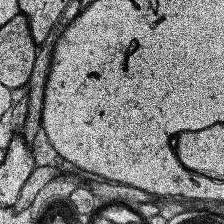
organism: Human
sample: Temporal Lobe